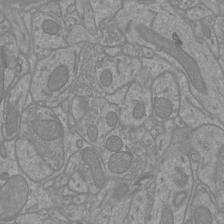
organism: Mouse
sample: Cortical neurons